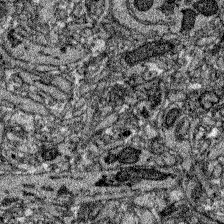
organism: Zebrafish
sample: Larval olfactory bulb